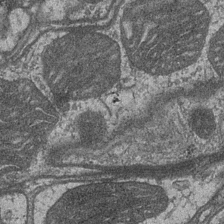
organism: Drosophila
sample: Optic medulla